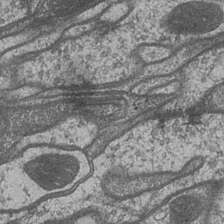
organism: Drosophila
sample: Optic medulla